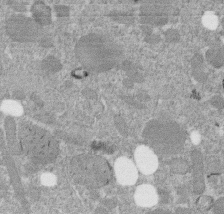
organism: C. elegans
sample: C. elegans embryo early stage